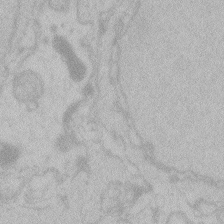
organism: Zebrafish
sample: Macrophage infected with Toxoplasma gondii